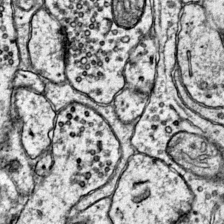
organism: Mouse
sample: Primary visual cortex